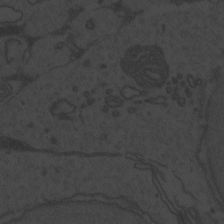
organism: Zebrafish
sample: Macrophage infected with Toxoplasma gondii